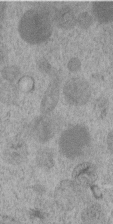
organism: C. elegans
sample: C. elegans embryo early stage